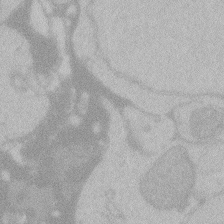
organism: Zebrafish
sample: Macrophage infected with Toxoplasma gondii